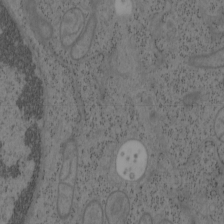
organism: Mouse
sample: OT-I killer T cells with ID8 ovarian cancer cells